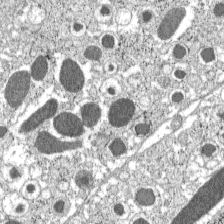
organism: C57BL Mouse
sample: Pancreatic islet